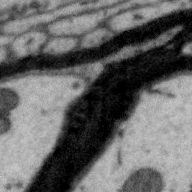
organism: Zebra finch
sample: Brain